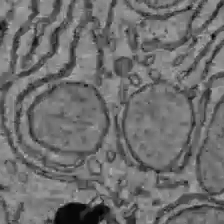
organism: C57BL Mouse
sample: Liver